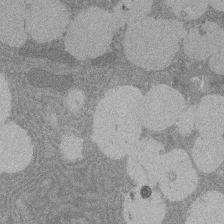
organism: Rat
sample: Salivary granule